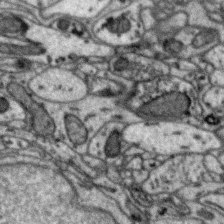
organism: Zebra finch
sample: Brain